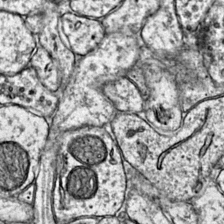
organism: Mouse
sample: Primary visual cortex